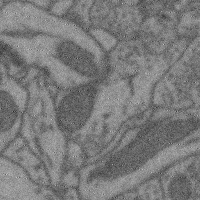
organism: Mouse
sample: Cerebral cortex